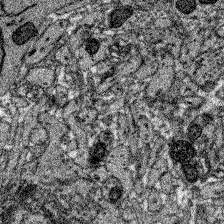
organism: Zebrafish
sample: Larval olfactory bulb